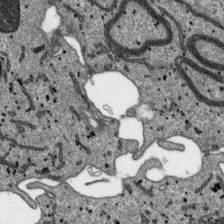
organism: Human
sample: Lung epithelial cells, uninfected (mock) control